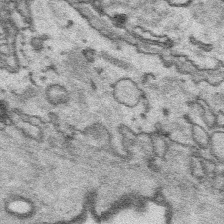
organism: Platynereis dumerilii